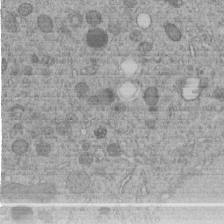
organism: C. elegans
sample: C. elegans embryo early stage